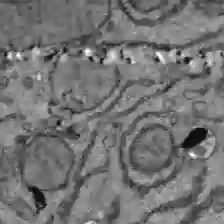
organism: C57BL Mouse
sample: Liver